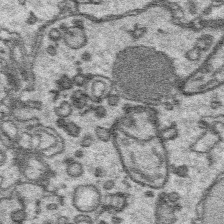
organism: Platynereis dumerilii